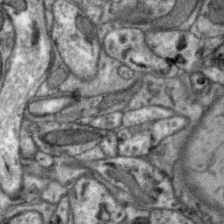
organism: Zebra finch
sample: Brain